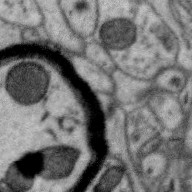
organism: Zebra finch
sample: Brain